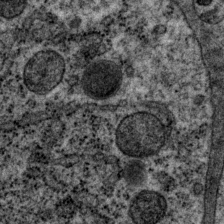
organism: P. pacificus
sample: Pharynx